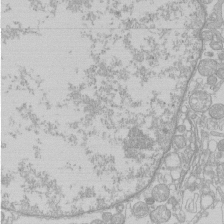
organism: Human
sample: Macrophage cells